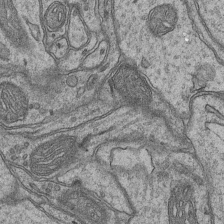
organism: Mouse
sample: CA1 Hippocampus